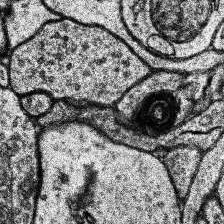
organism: Human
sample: Temporal Lobe